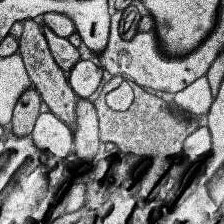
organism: Human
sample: Temporal Lobe